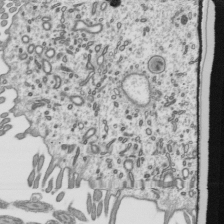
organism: Mouse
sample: Mouse epididymis efferent ductule cilia